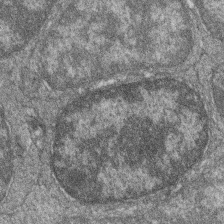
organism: Zebrafish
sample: Cilia; retinal pigment epithelium